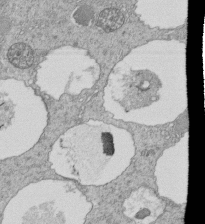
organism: Tetrahymena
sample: Cilia in tetrahymena